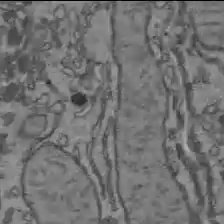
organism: C57BL Mouse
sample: Liver